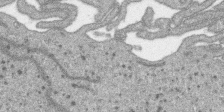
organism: Human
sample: Lung epithelial cells infected with SARS-CoV-2